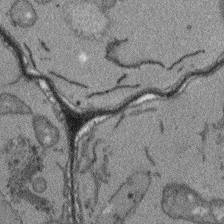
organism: Arabidopsis thaliana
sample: Root tip